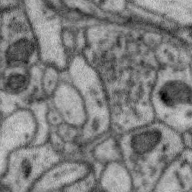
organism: Zebra finch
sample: Brain